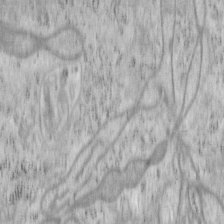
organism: Human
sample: HeLa cells